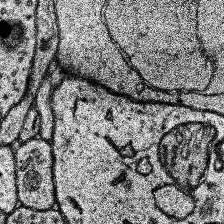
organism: Human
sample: Temporal Lobe